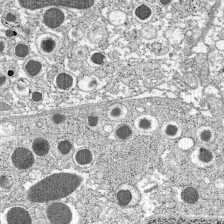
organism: C57BL Mouse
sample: Pancreatic islet